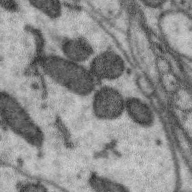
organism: Zebra finch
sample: Brain